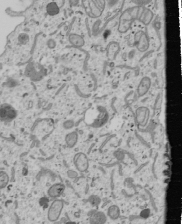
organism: Human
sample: Mitochondria in U2OS cells